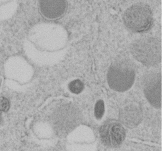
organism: C. elegans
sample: C. elegans embryo early stage